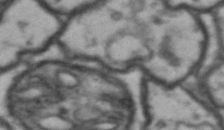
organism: Drosophila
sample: Brain